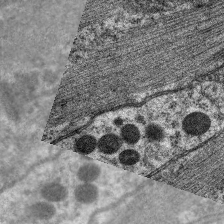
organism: C. elegans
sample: Pharynx